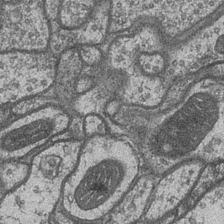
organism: Drosophila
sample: Optic medulla